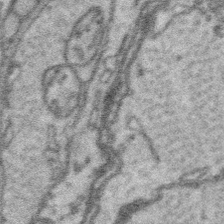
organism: Platynereis dumerilii